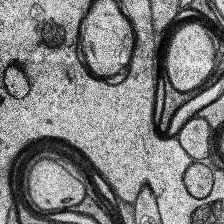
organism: Human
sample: Temporal Lobe